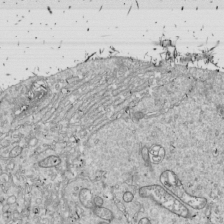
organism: Drosophila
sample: Cell division; meiosis; drosophila spermatocytes